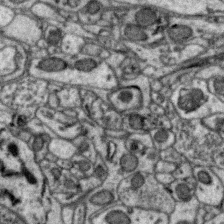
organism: Zebra finch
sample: Brain